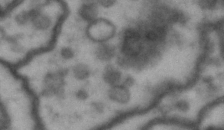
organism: Drosophila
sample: Brain